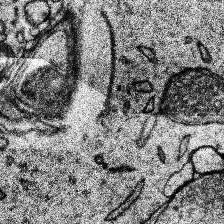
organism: Human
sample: Temporal Lobe